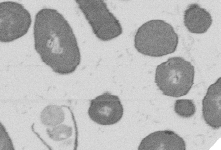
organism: B. subtilis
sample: Bacterial spore